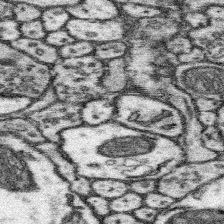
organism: Mouse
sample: Somatosensory cortex neuropil